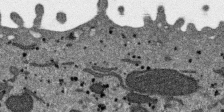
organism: Human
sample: Lung epithelial cells, uninfected (mock) control